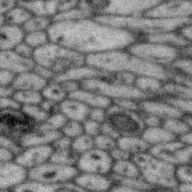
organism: Zebra finch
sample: Brain